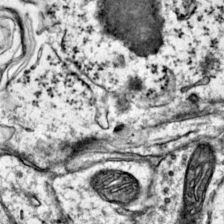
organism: Mouse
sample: Primary visual cortex